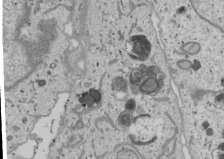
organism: Human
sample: Mitochondria in U2OS cells